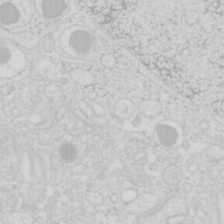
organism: Mouse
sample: Pancreas